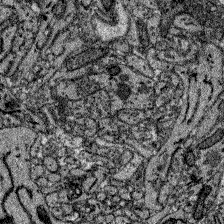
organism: Zebrafish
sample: Larval olfactory bulb